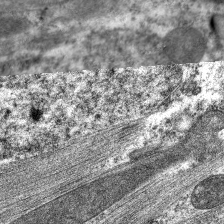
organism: C. elegans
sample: Pharynx